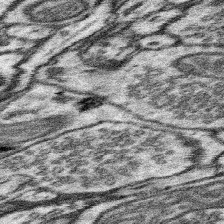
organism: Mouse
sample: Somatosensory cortex neuropil